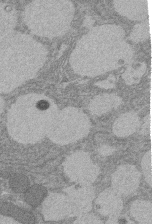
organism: Rat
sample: Salivary granule